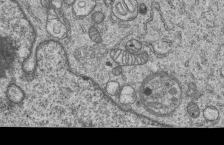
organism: Human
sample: MDA-MB-231 cells